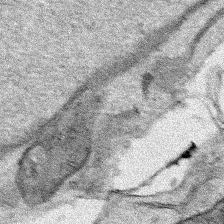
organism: Human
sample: Mitochondria in HCT116 cells